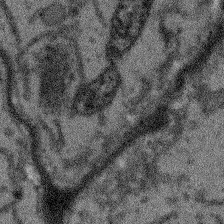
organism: Arabidopsis thaliana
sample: Root tip